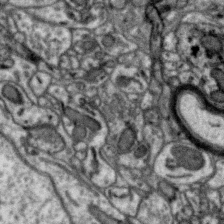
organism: Zebra finch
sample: Brain